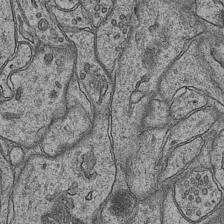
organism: Mouse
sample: CA1 Hippocampus